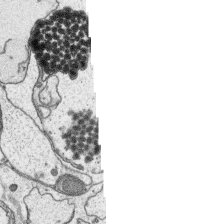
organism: Platynereis dumerilii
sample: Parapodia